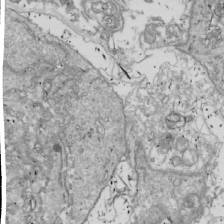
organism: Drosophila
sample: Cell division; meiosis; drosophila spermatocytes